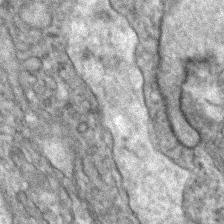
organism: Human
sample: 1205lu cells